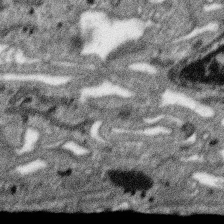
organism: Human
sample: Lung epithelial cells infected with SARS-CoV-2